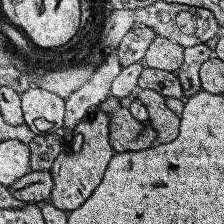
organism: Human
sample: Temporal Lobe